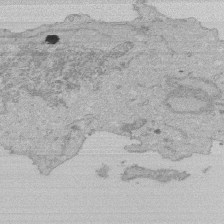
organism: Human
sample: Activated Jurkat CD4+ T cells